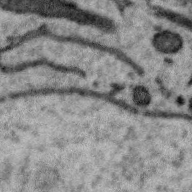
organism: Zebra finch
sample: Brain